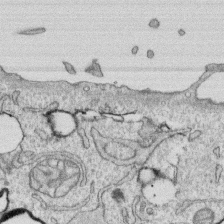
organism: Human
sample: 1205lu cells